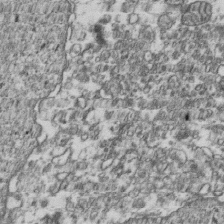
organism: Human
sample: Activated Jurkat CD4+ T cells